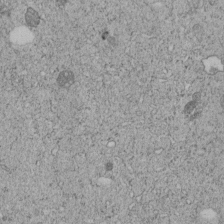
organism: C. elegans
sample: C. elegans embryo early stage